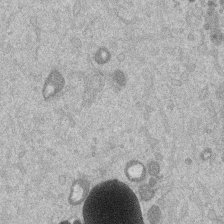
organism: Mouse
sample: Dividing mouse embryo 1 cell stage